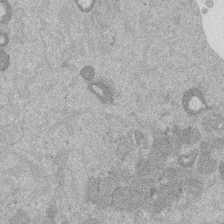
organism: Mouse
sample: Dividing mouse embryo 1 cell stage